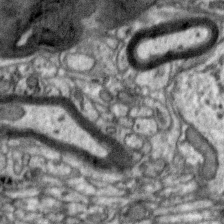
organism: Zebra finch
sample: Brain